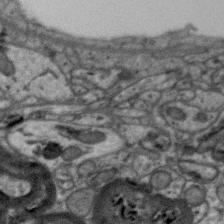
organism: Zebra finch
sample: Brain